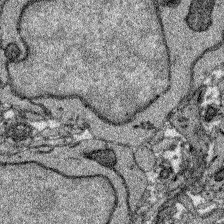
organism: Zebrafish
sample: Larval olfactory bulb